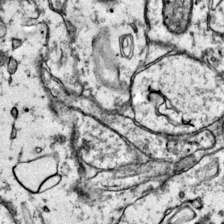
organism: Mouse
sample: Primary visual cortex